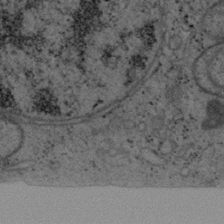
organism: Human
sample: HeLa cells